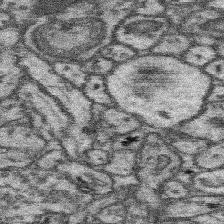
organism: Mouse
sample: Somatosensory cortex neuropil